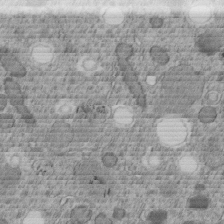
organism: C. elegans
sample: C. elegans embryo early stage